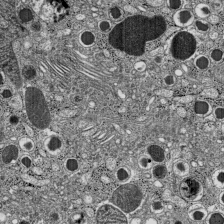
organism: C57BL Mouse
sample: Pancreatic islet